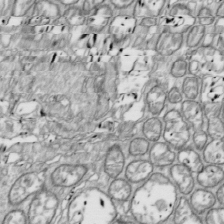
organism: Drosophila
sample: Cell division; meiosis; drosophila spermatocytes